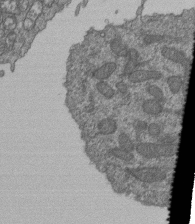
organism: Human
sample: Retinal organoid Rod and Cone cells